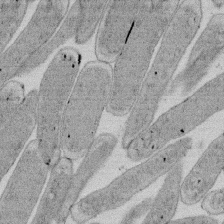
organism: E. coli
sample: Bacterial nucleoid